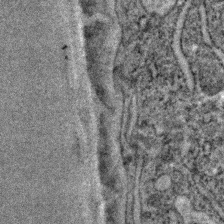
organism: C. elegans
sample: C. elegans embryo